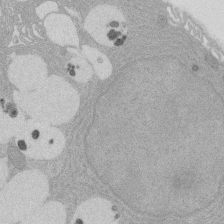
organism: Rat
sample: Salivary granule